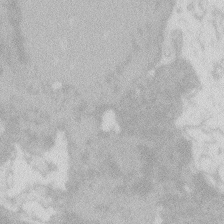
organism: Zebrafish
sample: Macrophage